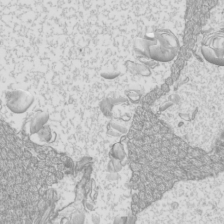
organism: Mouse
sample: Cilia; mouse epididymis